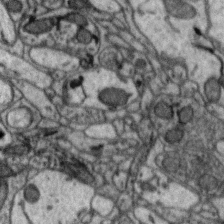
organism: Zebra finch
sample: Brain